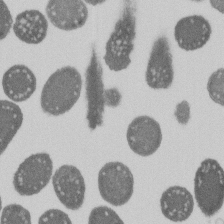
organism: E. coli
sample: Bacterial nucleoid